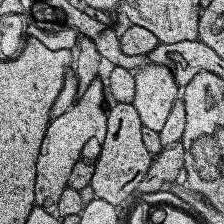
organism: Human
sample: Temporal Lobe